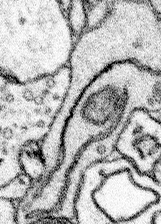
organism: Mouse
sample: Somatosensory cortex neuropil